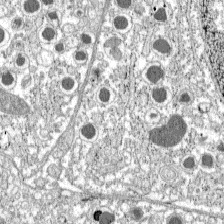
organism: C57BL Mouse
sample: Pancreatic islet